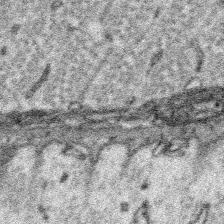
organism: Platynereis dumerilii